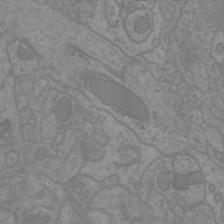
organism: Mouse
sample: Cortical neurons